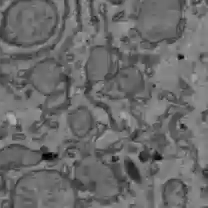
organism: C57BL Mouse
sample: Liver